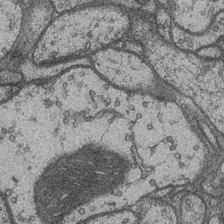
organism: Drosophila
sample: Optic medulla